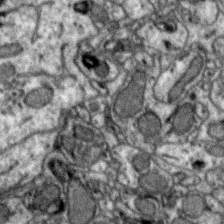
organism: Zebra finch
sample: Brain